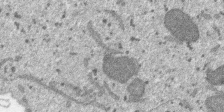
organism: Human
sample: Lung epithelial cells infected with SARS-CoV-2